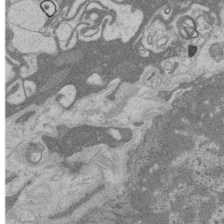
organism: Rat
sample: Salivary granule